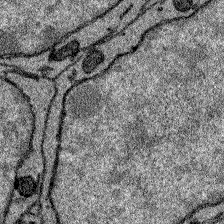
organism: Zebrafish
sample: Larval olfactory bulb